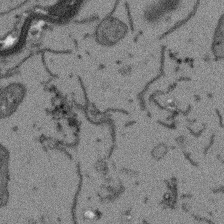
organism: Arabidopsis thaliana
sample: Root tip